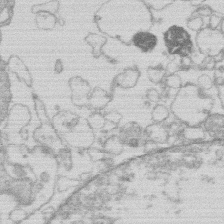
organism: Human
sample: Macrophage cells